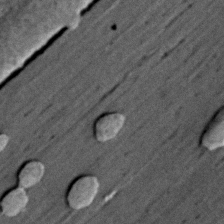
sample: Trachea